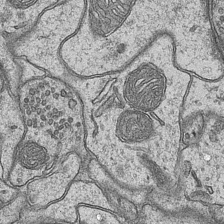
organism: Mouse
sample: CA1 Hippocampus